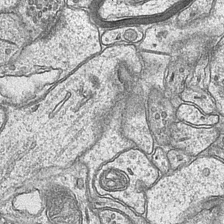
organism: Mouse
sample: CA1 Hippocampus